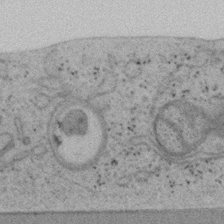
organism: Human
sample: HeLa cells